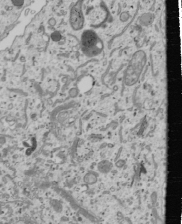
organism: Human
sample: Mitochondria in U2OS cells